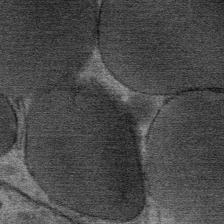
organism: Mouse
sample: Mouse Salivary gland